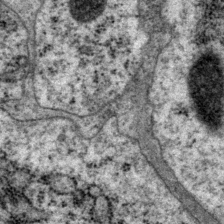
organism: P. pacificus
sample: Pharynx